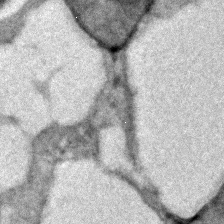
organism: C. elegans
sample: C. elegans embryo